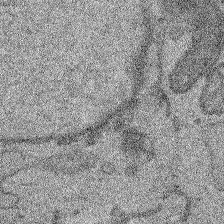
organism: Human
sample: HeLa cells